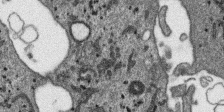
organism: Human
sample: Lung epithelial cells infected with SARS-CoV-2